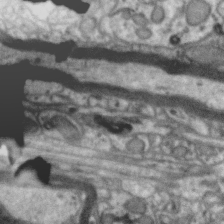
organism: Zebra finch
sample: Brain